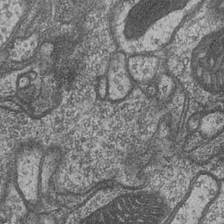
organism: Drosophila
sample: Optic medulla